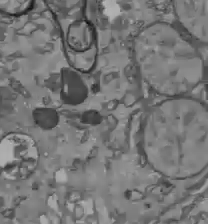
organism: C57BL Mouse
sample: Liver